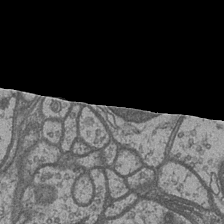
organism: Drosophila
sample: Optic medulla